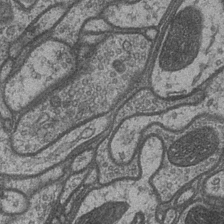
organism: Drosophila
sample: Optic medulla